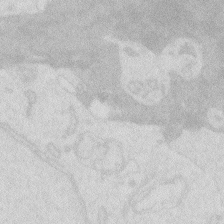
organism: Zebrafish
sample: Macrophage